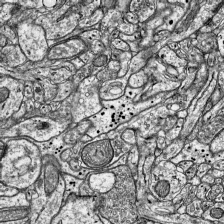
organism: Mouse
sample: Visual Cortex